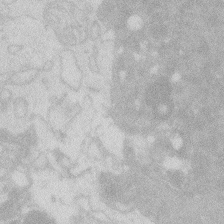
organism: Zebrafish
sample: Macrophage